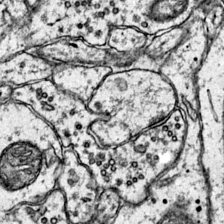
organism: Mouse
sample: Primary visual cortex